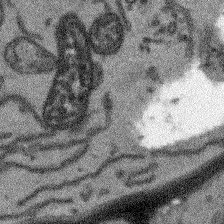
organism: Arabidopsis thaliana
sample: Root tip